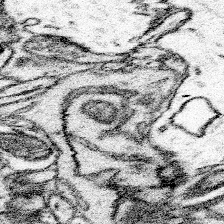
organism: Mouse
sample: Somatosensory cortex neuropil